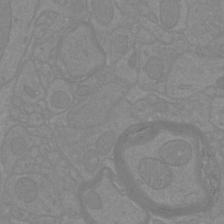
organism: Mouse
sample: Cortical neurons